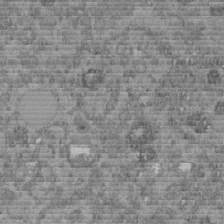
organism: C. elegans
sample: C. elegans embryo early stage